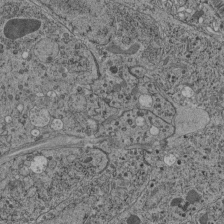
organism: C. elegans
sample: C. elegans pharynx